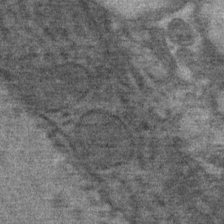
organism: Mouse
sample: Mouse Salivary gland